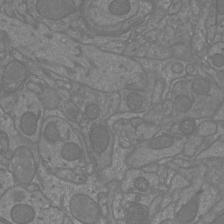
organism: Mouse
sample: Cortical neurons